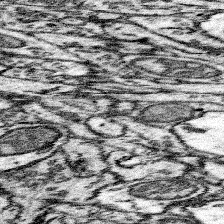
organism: Mouse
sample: Somatosensory cortex neuropil